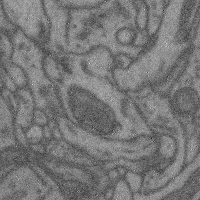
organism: Mouse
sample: Cerebral cortex